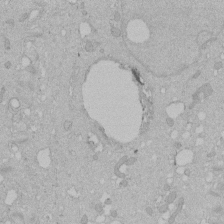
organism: Human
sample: Melanocyte Keratinocyte synapse skin construct